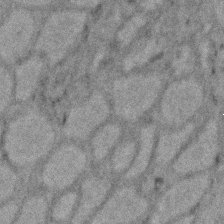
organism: Zebrafish